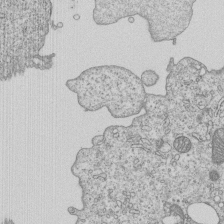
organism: Human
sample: MDA-MB-231 cells